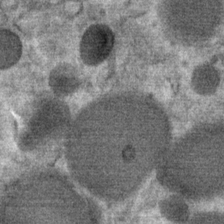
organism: Mouse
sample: Mouse Salivary gland